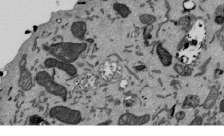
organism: Mouse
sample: ED-1 cell nuclei; centrioles